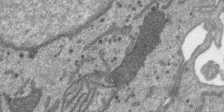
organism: Human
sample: Lung epithelial cells infected with SARS-CoV-2